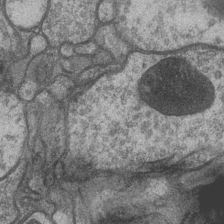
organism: Drosophila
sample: Optic medulla